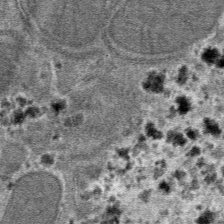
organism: Mouse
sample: Mouse hepatocytes